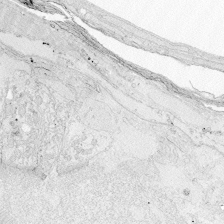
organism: Zebrafish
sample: Whole-Brain